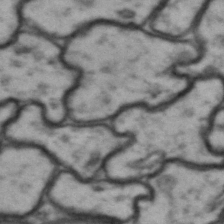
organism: Drosophila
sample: Brain